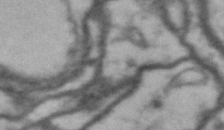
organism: Drosophila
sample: Brain